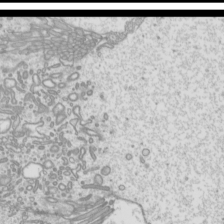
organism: Mouse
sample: Cilia; mouse epididymis